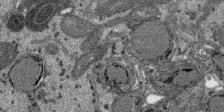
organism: Human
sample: Lung epithelial cells infected with SARS-CoV-2